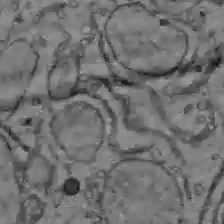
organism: C57BL Mouse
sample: Liver